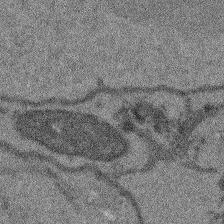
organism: Arabidopsis thaliana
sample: Root tip